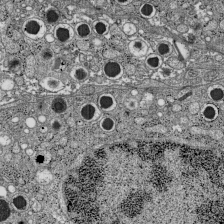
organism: C57BL Mouse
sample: Pancreatic islet